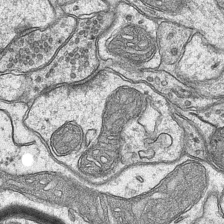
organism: Mouse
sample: CA1 Hippocampus